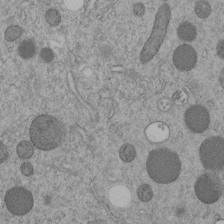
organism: C. elegans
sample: C. elegans embryo early stage